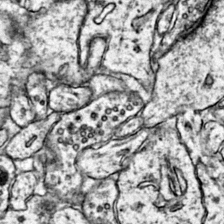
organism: Mouse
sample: Primary visual cortex